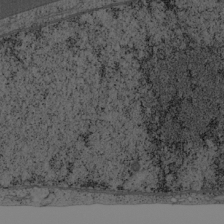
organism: African green monkey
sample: COS-7 cells